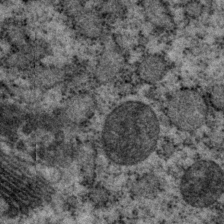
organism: P. pacificus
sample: Pharynx